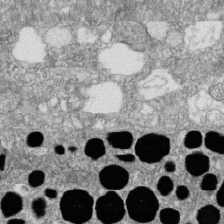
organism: Zebrafish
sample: Cilia; retinal pigment epithelium